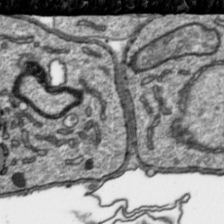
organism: Toxoplasma gondii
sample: Parasites in a vacuole inside a host cell